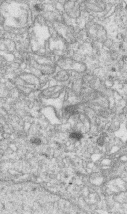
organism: Human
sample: HeLa cell HIV synapse